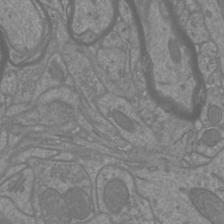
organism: Mouse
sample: Cortical neurons